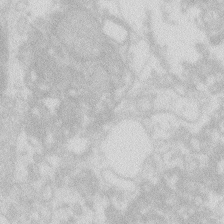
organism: Zebrafish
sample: Macrophage